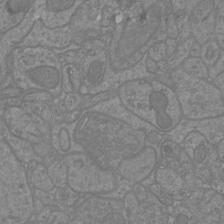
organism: Mouse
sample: Cortical neurons